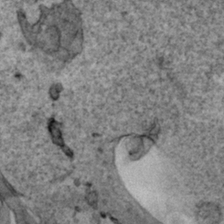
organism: Human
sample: Mitochondria in HCT116 cells